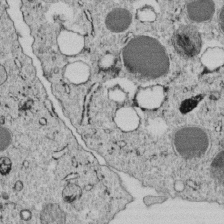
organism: C. elegans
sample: C. elegans embryo early stage